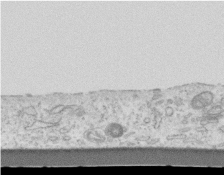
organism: Mouse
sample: Centriole in ependymal cells